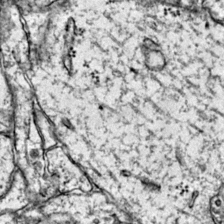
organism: Mouse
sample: Primary visual cortex